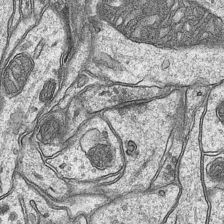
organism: Mouse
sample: CA1 Hippocampus